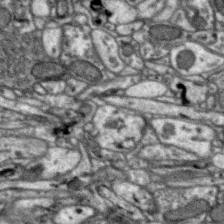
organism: Zebra finch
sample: Brain